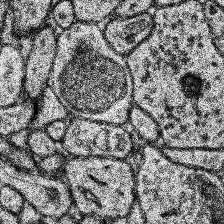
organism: Human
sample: Temporal Lobe